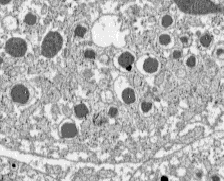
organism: C57BL Mouse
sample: Pancreatic islet